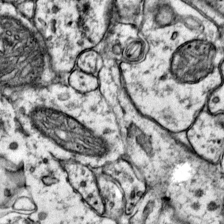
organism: Mouse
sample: Primary visual cortex